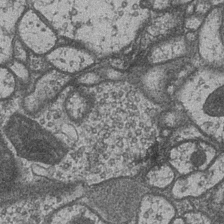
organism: Drosophila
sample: Optic medulla